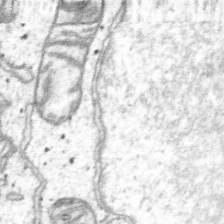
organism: Human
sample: HeLa cells